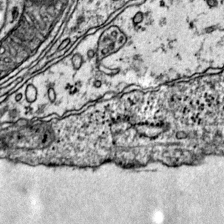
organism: Mouse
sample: Primary visual cortex